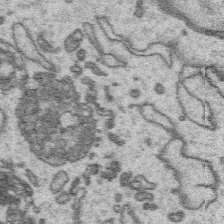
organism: Platynereis dumerilii